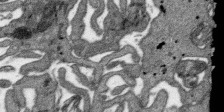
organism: Human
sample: Lung epithelial cells, uninfected (mock) control